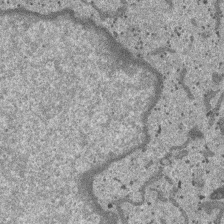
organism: Human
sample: Lung epithelial cells infected with SARS-CoV-2